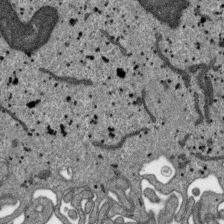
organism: Human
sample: Lung epithelial cells, uninfected (mock) control